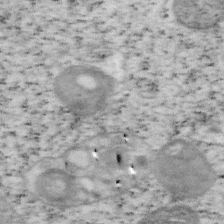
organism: Mouse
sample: OT-I killer T cells with ID8 ovarian cancer cells